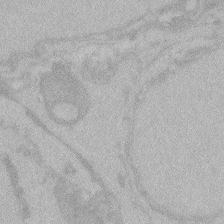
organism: Zebrafish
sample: Macrophage infected with Toxoplasma gondii